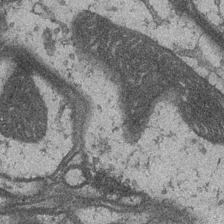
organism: Drosophila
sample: Optic medulla